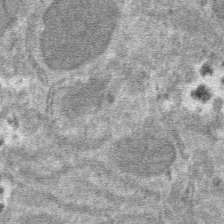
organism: Mouse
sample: Mouse hepatocytes